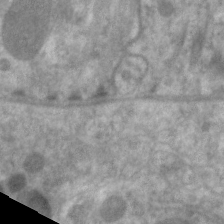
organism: C. elegans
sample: Pharynx